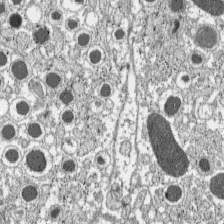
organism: C57BL Mouse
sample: Pancreatic islet